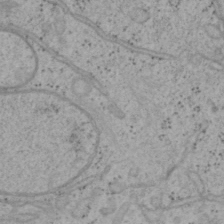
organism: Human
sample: HeLa cells